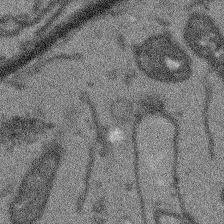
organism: Arabidopsis thaliana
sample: Root tip